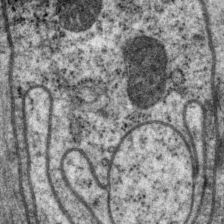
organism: P. pacificus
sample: Pharynx